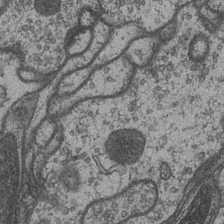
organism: Drosophila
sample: Optic medulla